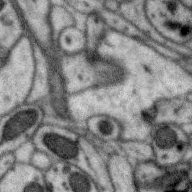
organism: Zebra finch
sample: Brain